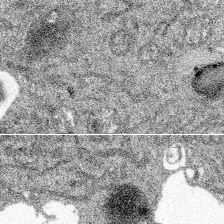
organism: Spongilla lacustris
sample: Multiple